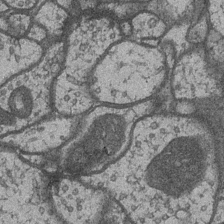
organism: Drosophila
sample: Optic medulla